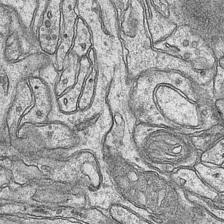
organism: Mouse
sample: CA1 Hippocampus